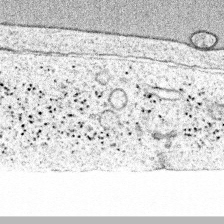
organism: Human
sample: HeLa cells